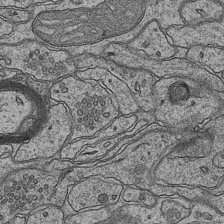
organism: Mouse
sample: CA1 Hippocampus